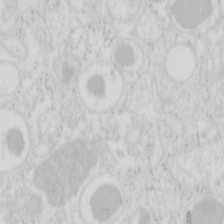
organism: Mouse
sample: Pancreas